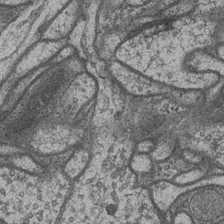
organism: Drosophila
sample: Optic medulla